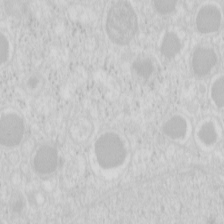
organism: Mouse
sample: Pancreas